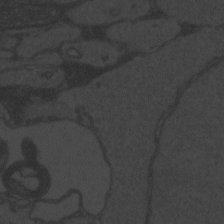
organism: Zebrafish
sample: Macrophage infected with Toxoplasma gondii